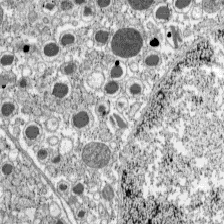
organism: C57BL Mouse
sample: Pancreatic islet